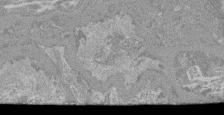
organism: Mouse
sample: Glomerulus